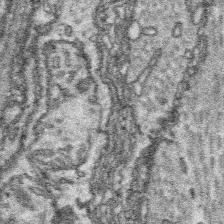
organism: Platynereis dumerilii